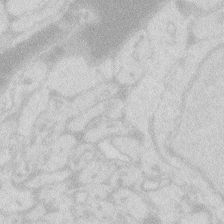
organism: Zebrafish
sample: Macrophage